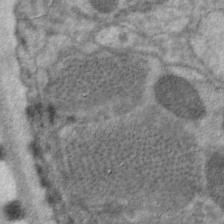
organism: C. elegans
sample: Pharynx